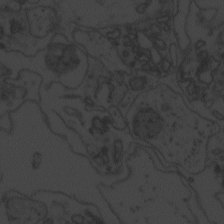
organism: Zebrafish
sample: Macrophage infected with Toxoplasma gondii